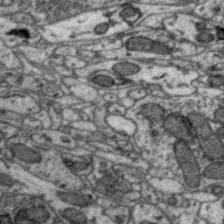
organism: Zebra finch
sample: Brain